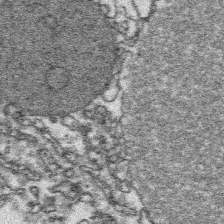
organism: Platynereis dumerilii